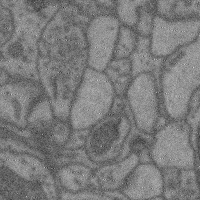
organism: Mouse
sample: Cerebral cortex